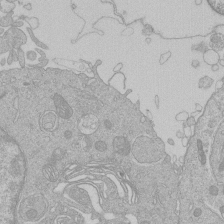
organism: Human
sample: Macrophage cells